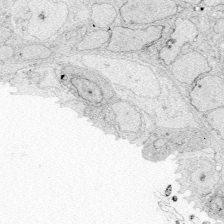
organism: Zebrafish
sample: Whole-Brain